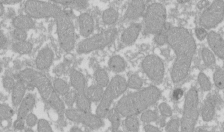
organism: Xenopus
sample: Cilia; centrioles in frog embryo cells